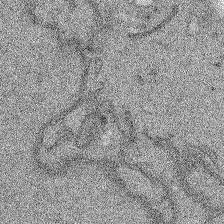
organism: Human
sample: HeLa cells